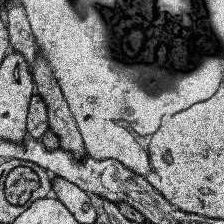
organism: Human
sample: Temporal Lobe